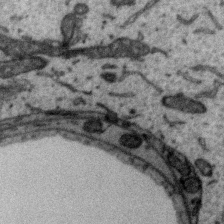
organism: Zebra finch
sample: Brain